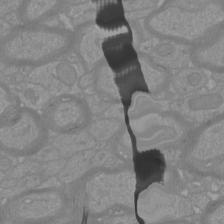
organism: Mouse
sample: Cortical neurons